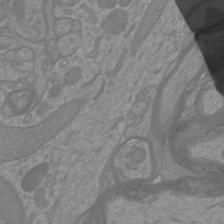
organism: Mouse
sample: Cortical neurons